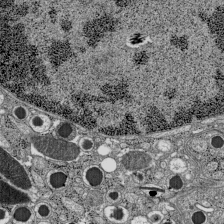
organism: C57BL Mouse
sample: Pancreatic islet